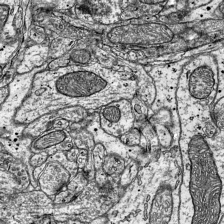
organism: Mouse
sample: Visual Cortex